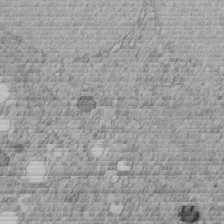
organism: C. elegans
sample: C. elegans embryo early stage